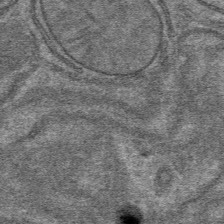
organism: Mouse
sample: Mouse hepatocytes